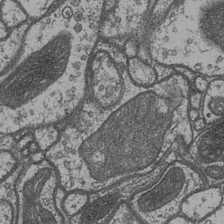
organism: Drosophila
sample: Optic medulla